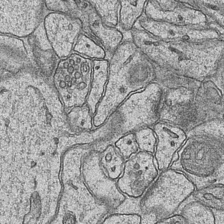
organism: Mouse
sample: CA1 Hippocampus